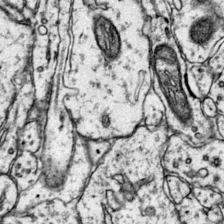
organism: Mouse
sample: Primary visual cortex